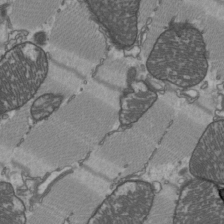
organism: C57BL Mouse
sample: Heart